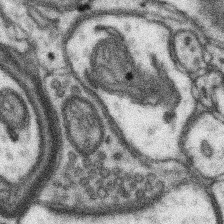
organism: Mouse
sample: Somatosensory cortex neuropil